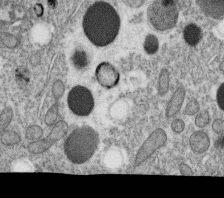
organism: C. elegans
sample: C. elegans oocyte; sperm cells